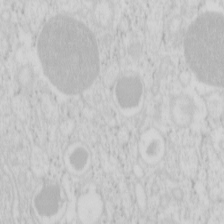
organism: Mouse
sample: Pancreas